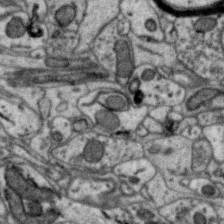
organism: Zebra finch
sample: Brain